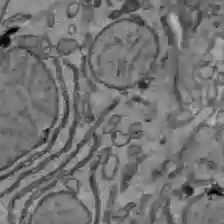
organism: C57BL Mouse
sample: Liver